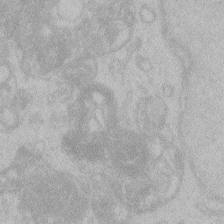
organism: Zebrafish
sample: Macrophage infected with Toxoplasma gondii